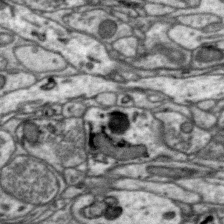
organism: Zebra finch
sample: Brain